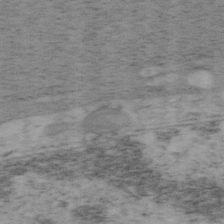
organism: Mouse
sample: OT-I killer T cells with ID8 ovarian cancer cells